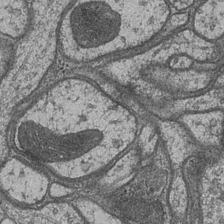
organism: Drosophila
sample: Optic medulla